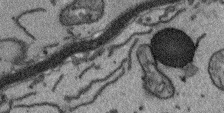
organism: Arabidopsis thaliana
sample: Root tip